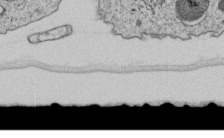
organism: C. elegans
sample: C. elegans embryo early stage